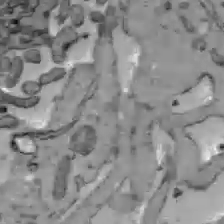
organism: C57BL Mouse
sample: Liver